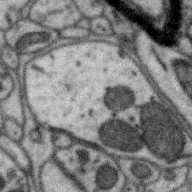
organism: Zebra finch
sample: Brain